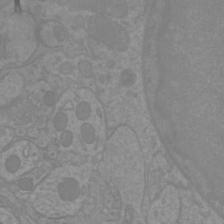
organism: Mouse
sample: Cortical neurons